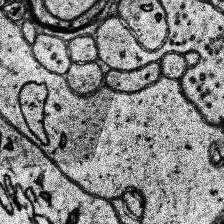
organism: Human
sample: Temporal Lobe